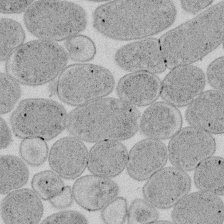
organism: E. coli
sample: Bacterial nucleoid